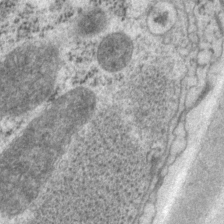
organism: P. pacificus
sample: Pharynx